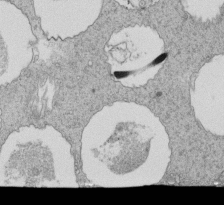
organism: Tetrahymena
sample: Cilia in tetrahymena